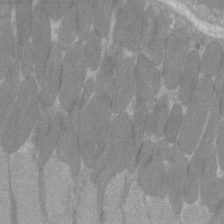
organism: C57BL Mouse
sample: Tibialis anterior muscle cell